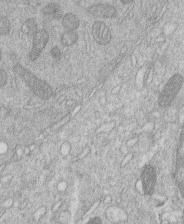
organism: Human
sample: Macrophage cells